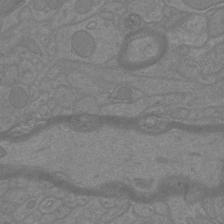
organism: Mouse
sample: Cortical neurons